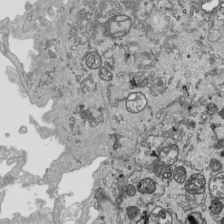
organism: Human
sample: Mitochondria in HCT116 cells